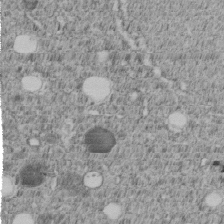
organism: C. elegans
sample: C. elegans embryo early stage